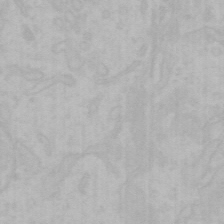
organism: Mouse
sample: Choroid plexus